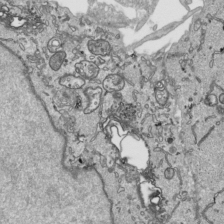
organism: Human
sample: Mitochondria in HCT116 cells